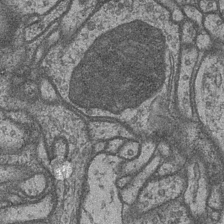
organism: Drosophila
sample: Optic medulla